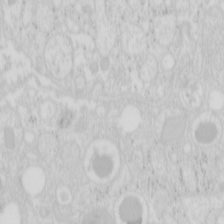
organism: Mouse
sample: Pancreas